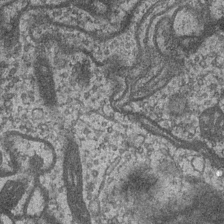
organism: Drosophila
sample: Optic medulla